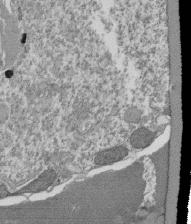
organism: Tetrahymena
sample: Cilia in tetrahymena